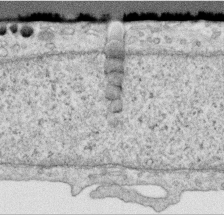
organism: Human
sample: Centriole in RPE cells